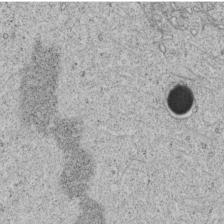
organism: C. elegans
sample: C. elegans embryo early stage